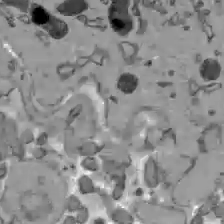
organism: C57BL Mouse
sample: Liver